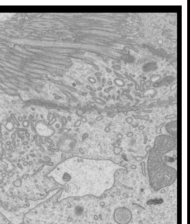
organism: Mouse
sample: Cilia; mouse epididymis